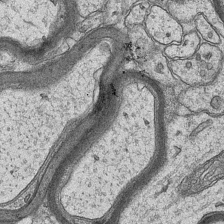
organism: Mouse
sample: CA1 Hippocampus